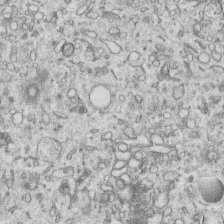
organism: Human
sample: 1205lu cells